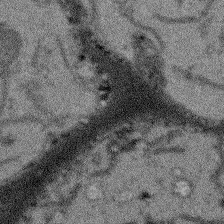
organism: Arabidopsis thaliana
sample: Root tip